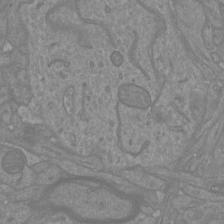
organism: Mouse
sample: Cortical neurons